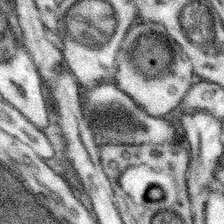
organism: Mouse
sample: Somatosensory cortex neuropil